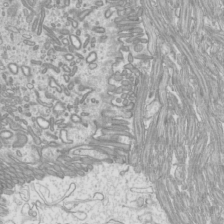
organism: Mouse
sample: Cilia; mouse epididymis